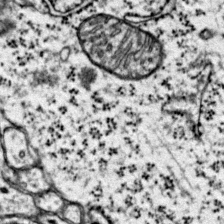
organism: Mouse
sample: Primary visual cortex